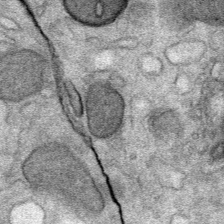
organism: Mouse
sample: Mouse Salivary gland